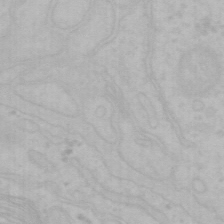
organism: Mouse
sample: Choroid plexus